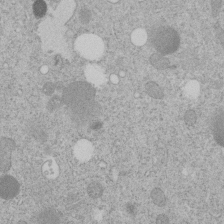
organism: C. elegans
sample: C. elegans embryo early stage